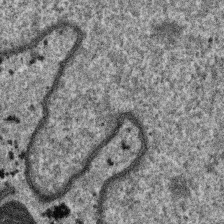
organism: Human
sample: Lung epithelial cells infected with SARS-CoV-2